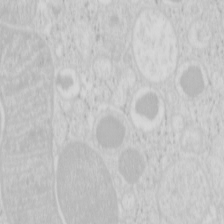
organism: Mouse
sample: Pancreas